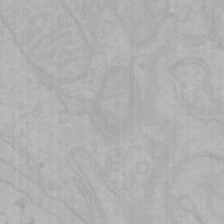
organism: Mouse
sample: Choroid plexus